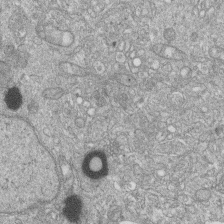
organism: Human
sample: HeLa cell HIV synapse